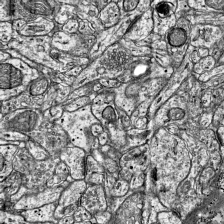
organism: Mouse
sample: Visual Cortex